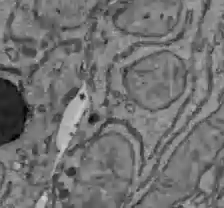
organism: C57BL Mouse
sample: Liver